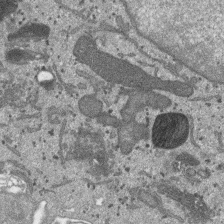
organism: Human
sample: Lung epithelial cells infected with SARS-CoV-2